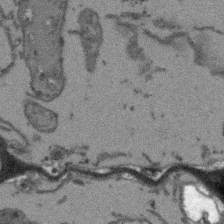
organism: Arabidopsis thaliana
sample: Root tip